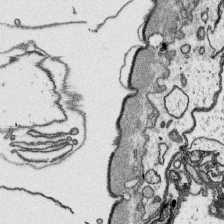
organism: Platynereis dumerilii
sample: Parapodia